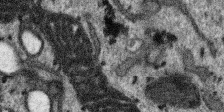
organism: Human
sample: Lung epithelial cells infected with SARS-CoV-2